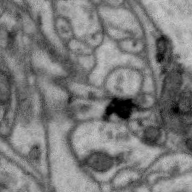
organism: Zebra finch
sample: Brain